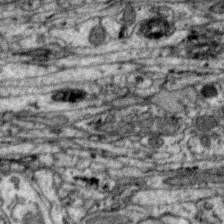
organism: Zebra finch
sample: Brain